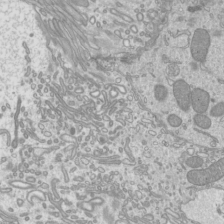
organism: Mouse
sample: Cilia; mouse epididymis